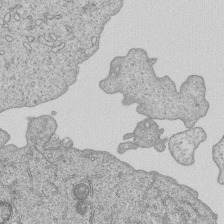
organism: Human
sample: MDA-MB-231 cells